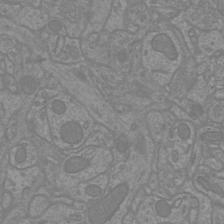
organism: Mouse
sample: Cortical neurons